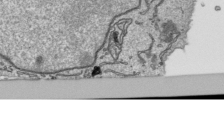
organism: Human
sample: Mitochondria in HCT116 cells